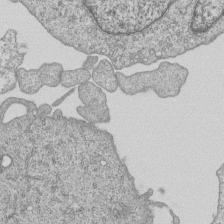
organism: Human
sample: MDA-MB-231 cells